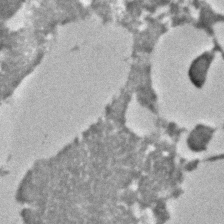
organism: C. elegans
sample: C. elegans embryo